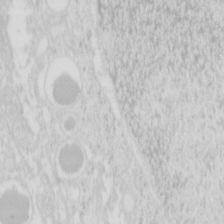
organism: Mouse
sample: Pancreas